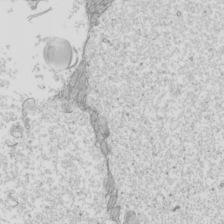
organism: Mouse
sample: Cilia; mouse epididymis